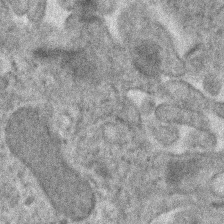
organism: Human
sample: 1205lu cells